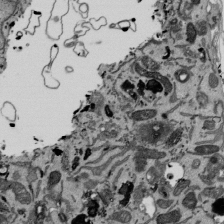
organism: Mouse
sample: ED-1 cell nuclei; centrioles